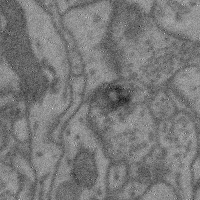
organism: Mouse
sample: Cerebral cortex